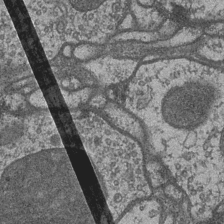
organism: Drosophila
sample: Optic medulla